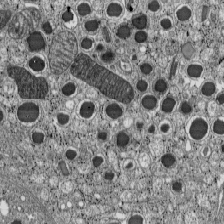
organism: C57BL Mouse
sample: Pancreatic islet